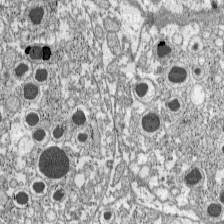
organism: C57BL Mouse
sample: Pancreatic islet